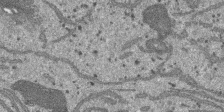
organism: Human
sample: Lung epithelial cells infected with SARS-CoV-2